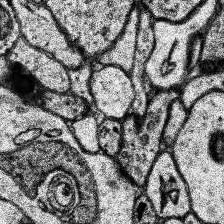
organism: Human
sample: Temporal Lobe